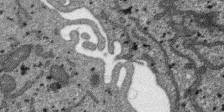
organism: Human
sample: Lung epithelial cells infected with SARS-CoV-2